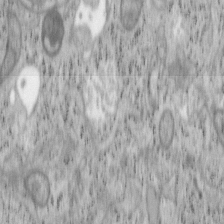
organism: Human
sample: HeLa cells